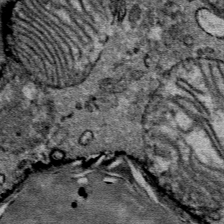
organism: Mouse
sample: Mouse Salivary gland